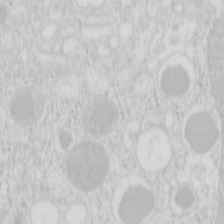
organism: Mouse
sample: Pancreas